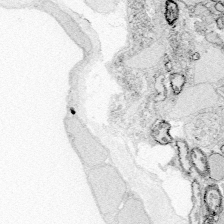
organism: Zebrafish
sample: Whole-Brain